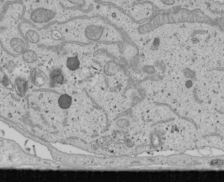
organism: Human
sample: Mitochondria in U2OS cells